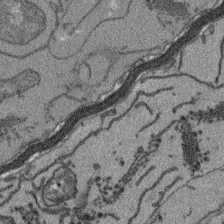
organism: Arabidopsis thaliana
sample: Root tip